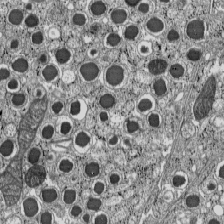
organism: C57BL Mouse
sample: Pancreatic islet